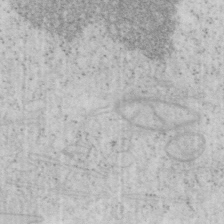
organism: Human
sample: HeLa cells